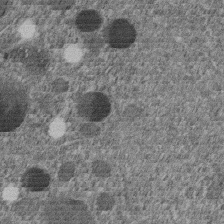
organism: C. elegans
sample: C. elegans embryo early stage